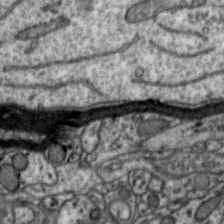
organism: Zebra finch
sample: Brain